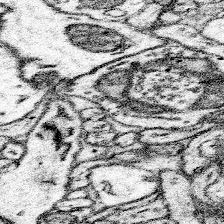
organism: Mouse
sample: Somatosensory cortex neuropil